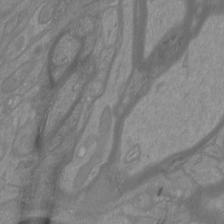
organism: Mouse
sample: Cortical neurons